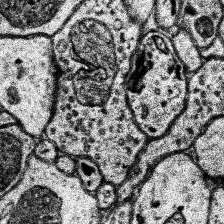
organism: Human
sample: Temporal Lobe